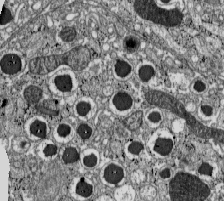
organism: C57BL Mouse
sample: Pancreatic islet